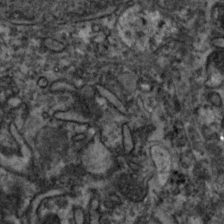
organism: Zebrafish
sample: Zebrafish embryo